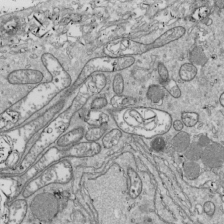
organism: Drosophila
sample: Cell division; meiosis; drosophila spermatocytes